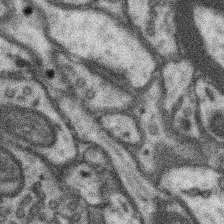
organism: Mouse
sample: Somatosensory cortex neuropil